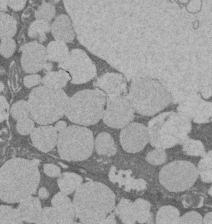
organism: Rat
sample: Salivary granule